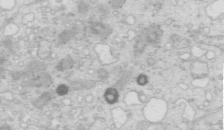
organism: Mouse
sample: Multiciliated cells